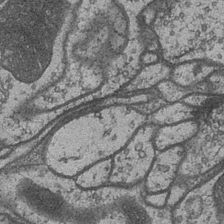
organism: Drosophila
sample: Optic medulla